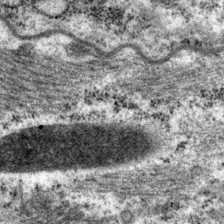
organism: P. pacificus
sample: Pharynx